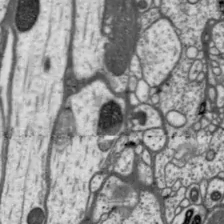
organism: Drosophila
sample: Protocerebral bridge